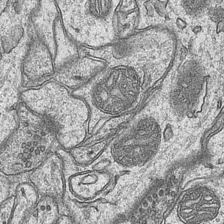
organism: Mouse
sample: CA1 Hippocampus